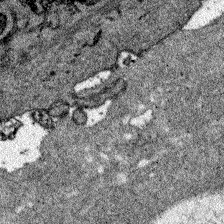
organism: Zebrafish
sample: Larval olfactory bulb